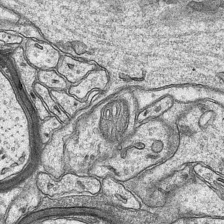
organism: Mouse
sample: CA1 Hippocampus